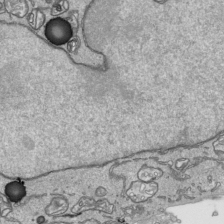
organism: Human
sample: Mitochondria in HCT116 cells